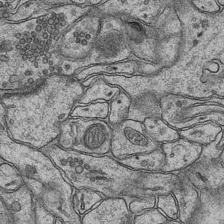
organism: Mouse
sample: CA1 Hippocampus